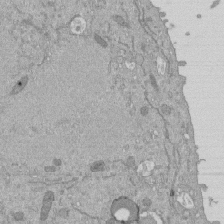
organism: Mouse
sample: ED-1 cell nuclei; centrioles